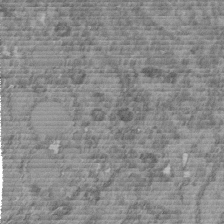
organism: C. elegans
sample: C. elegans embryo early stage